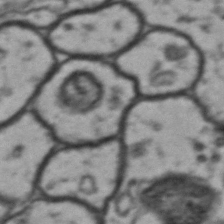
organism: Drosophila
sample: Brain